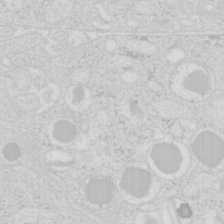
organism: Mouse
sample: Pancreas